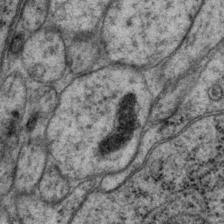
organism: P. pacificus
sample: Pharynx